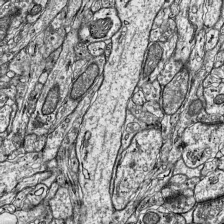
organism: Mouse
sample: Visual Cortex